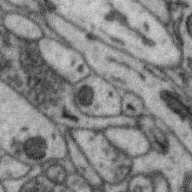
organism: Zebra finch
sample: Brain